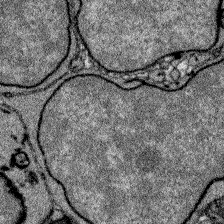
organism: Zebrafish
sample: Larval olfactory bulb